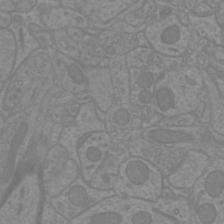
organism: Mouse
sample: Cortical neurons